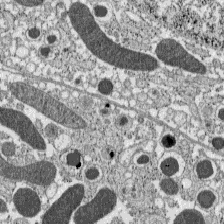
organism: C57BL Mouse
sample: Pancreatic islet